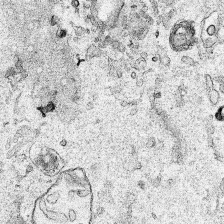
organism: Human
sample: Mitochondria in HCT116 cells